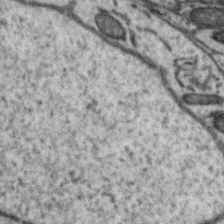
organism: Zebra finch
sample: Brain